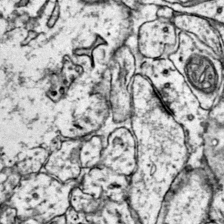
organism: Mouse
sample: Primary visual cortex